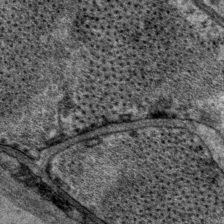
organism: P. pacificus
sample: Pharynx